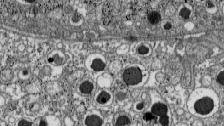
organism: C57BL Mouse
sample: Pancreatic islet